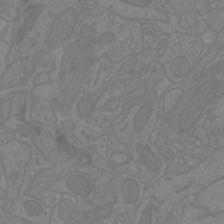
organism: Mouse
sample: Cortical neurons